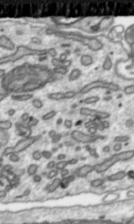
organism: Toxoplasma gondii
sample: Parasites in a vacuole inside a host cell